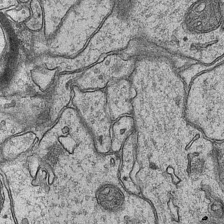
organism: Mouse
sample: CA1 Hippocampus